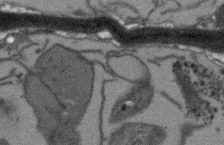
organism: Arabidopsis thaliana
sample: Root tip